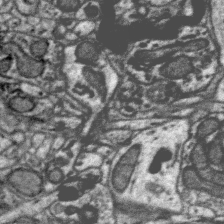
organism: Zebra finch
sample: Brain